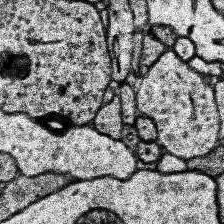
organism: Human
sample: Temporal Lobe